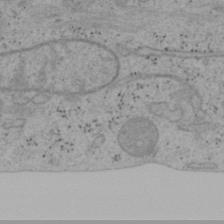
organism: Human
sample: HeLa cells